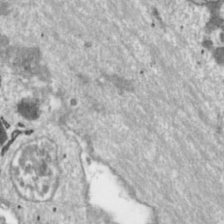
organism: Toxoplasma gondii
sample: Parasites in a vacuole inside a host cell